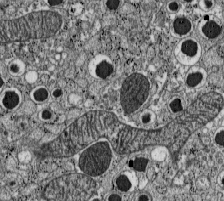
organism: C57BL Mouse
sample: Pancreatic islet